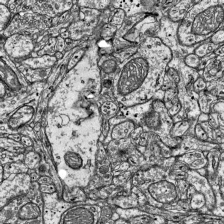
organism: Mouse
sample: Visual Cortex